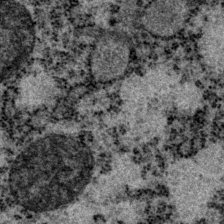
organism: P. pacificus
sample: Pharynx